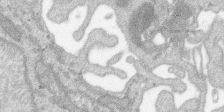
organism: Human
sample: Lung epithelial cells infected with SARS-CoV-2